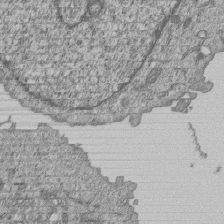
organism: Human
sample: MDA-MB-231 cells